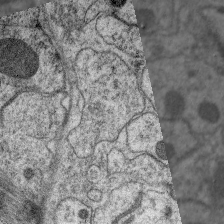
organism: C. elegans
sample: Pharynx